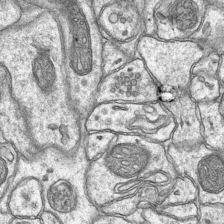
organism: Mouse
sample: CA1 Hippocampus